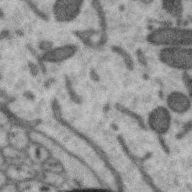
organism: Zebra finch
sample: Brain